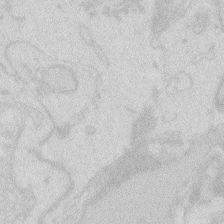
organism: Zebrafish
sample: Macrophage